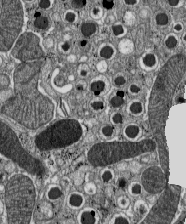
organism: C57BL Mouse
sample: Pancreatic islet